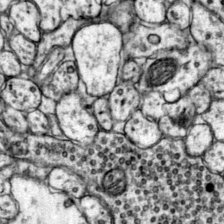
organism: Mouse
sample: Primary visual cortex